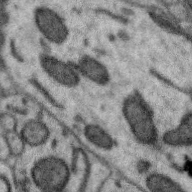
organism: Zebra finch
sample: Brain